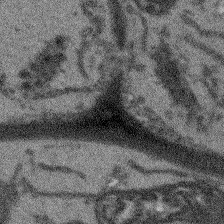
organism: Arabidopsis thaliana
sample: Root tip